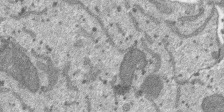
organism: Human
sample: Lung epithelial cells infected with SARS-CoV-2